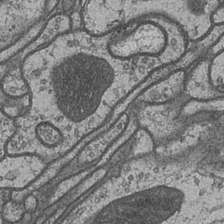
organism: Drosophila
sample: Optic medulla